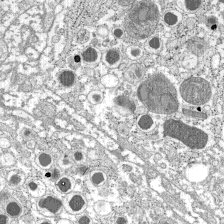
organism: C57BL Mouse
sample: Pancreatic islet